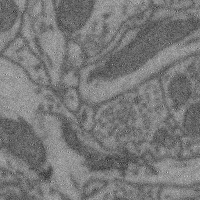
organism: Mouse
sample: Cerebral cortex